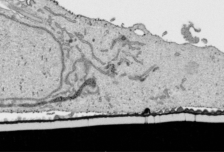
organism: Human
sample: Mitochondria in HCT116 cells